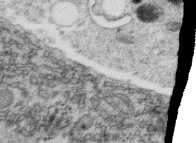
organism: C. elegans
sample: C. elegans oocyte; sperm cells